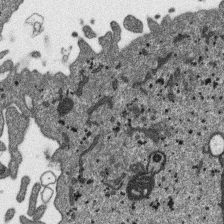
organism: Human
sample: Lung epithelial cells infected with SARS-CoV-2